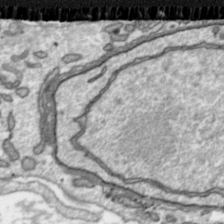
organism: Toxoplasma gondii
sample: Parasites in a vacuole inside a host cell